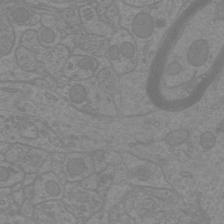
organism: Mouse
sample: Cortical neurons